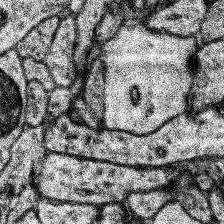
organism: Human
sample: Temporal Lobe